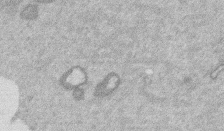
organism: Mouse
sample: Dividing mouse embryo 1 cell stage